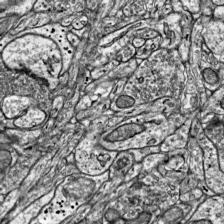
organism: Mouse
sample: Visual Cortex